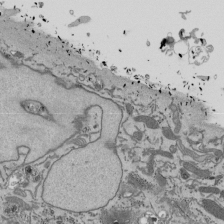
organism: Mouse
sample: ED-1 cell nuclei; centrioles